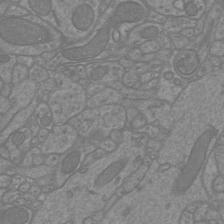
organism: Mouse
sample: Cortical neurons